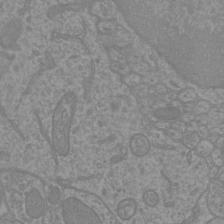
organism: Mouse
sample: Cortical neurons